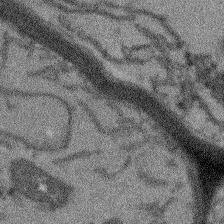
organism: Arabidopsis thaliana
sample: Root tip